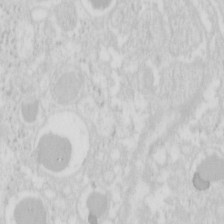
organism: Mouse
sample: Pancreas